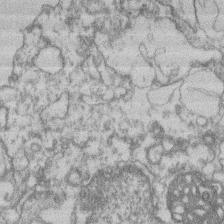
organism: Mouse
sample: T cell stromal cell synapse